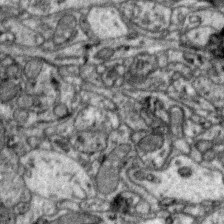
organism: Zebra finch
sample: Brain